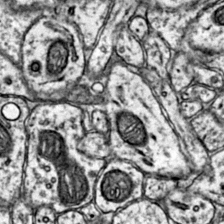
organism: Mouse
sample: Primary visual cortex